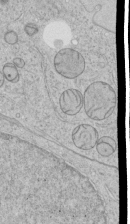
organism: Human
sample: Mitochondria in HCT116 cells